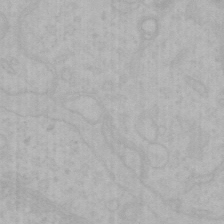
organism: Mouse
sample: Choroid plexus